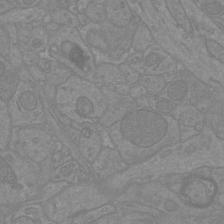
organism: Mouse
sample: Cortical neurons